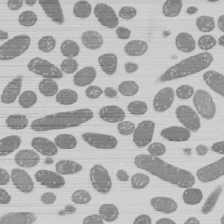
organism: E. coli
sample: Bacterial nucleoid